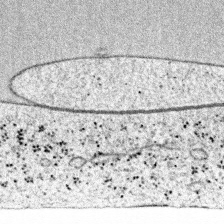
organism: Human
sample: HeLa cells